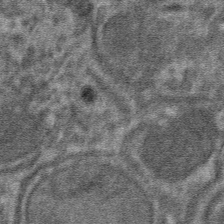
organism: Mouse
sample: Mouse hepatocytes